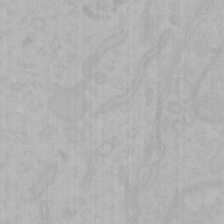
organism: Mouse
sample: Choroid plexus